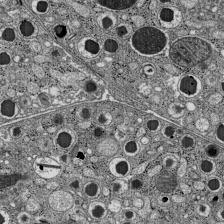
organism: C57BL Mouse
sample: Pancreatic islet